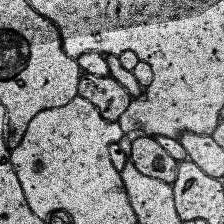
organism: Human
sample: Temporal Lobe